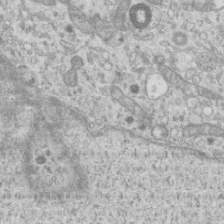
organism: Mouse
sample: Centriole in ependymal cells